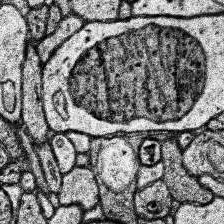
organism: Human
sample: Temporal Lobe